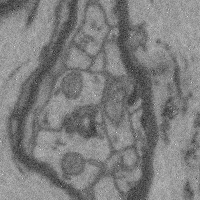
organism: Mouse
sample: Cerebral cortex